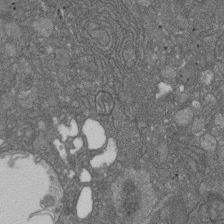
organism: Drosophila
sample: Nephrocyte